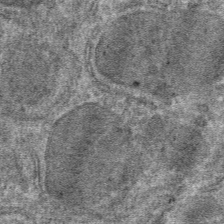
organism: Mouse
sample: Mouse hepatocytes